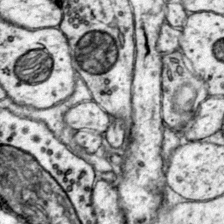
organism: Mouse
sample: Primary visual cortex